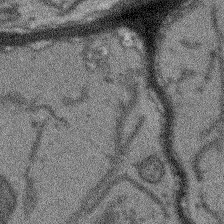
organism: Arabidopsis thaliana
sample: Root tip